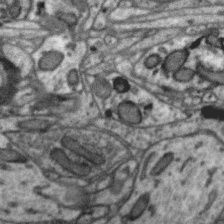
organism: Zebra finch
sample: Brain